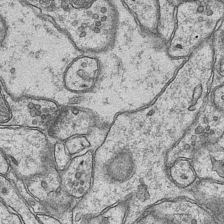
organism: Mouse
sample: CA1 Hippocampus